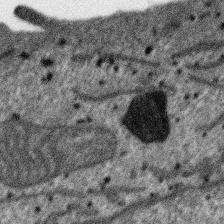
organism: Human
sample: Lung epithelial cells infected with SARS-CoV-2